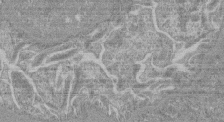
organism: Mouse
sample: Glomerulus